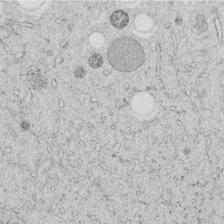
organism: C. elegans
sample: C. elegans embryo early stage